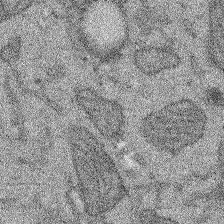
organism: Human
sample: HeLa cells